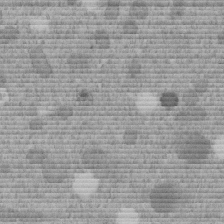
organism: C. elegans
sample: C. elegans embryo early stage